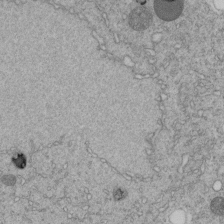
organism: C. elegans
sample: C. elegans embryo early stage